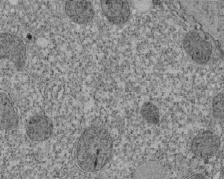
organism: Tetrahymena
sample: Cilia in tetrahymena